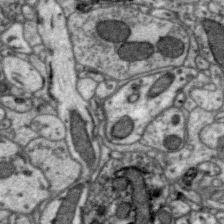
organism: Zebra finch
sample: Brain